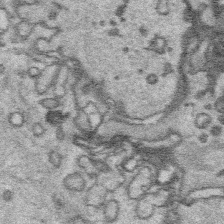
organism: Platynereis dumerilii